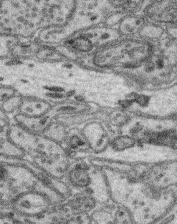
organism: Mouse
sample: Retina